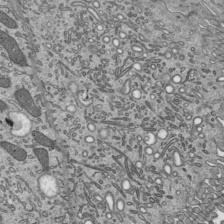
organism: Mouse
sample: Mouse epididymis efferent ductule cilia